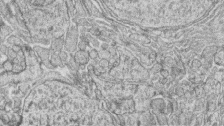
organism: Zebrafish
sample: synaptic ribbons in rod cells and cone cells